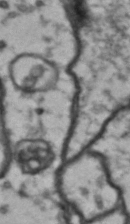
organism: Drosophila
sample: Brain